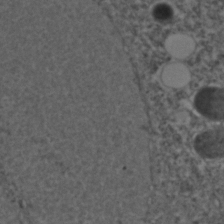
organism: C. elegans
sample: C. elegans embryo